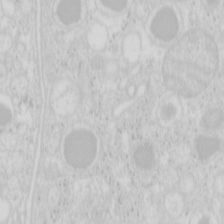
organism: Mouse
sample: Pancreas